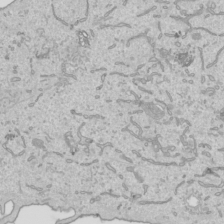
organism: Human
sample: Mitochondria in HCT116 cells